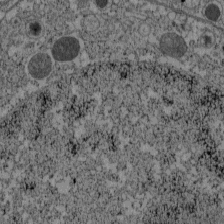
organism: C57BL Mouse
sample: Pancreatic islet